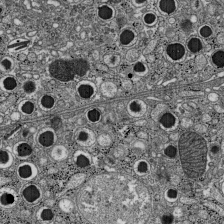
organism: C57BL Mouse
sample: Pancreatic islet